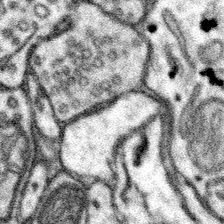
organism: Mouse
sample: Somatosensory cortex neuropil